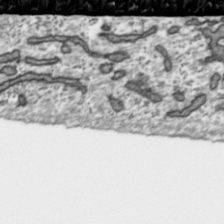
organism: Toxoplasma gondii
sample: Parasites in a vacuole inside a host cell